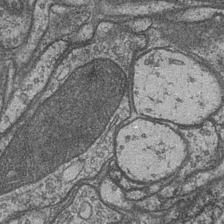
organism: Drosophila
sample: Optic medulla